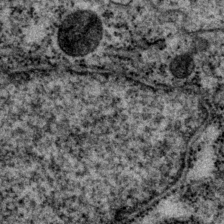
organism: P. pacificus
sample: Pharynx